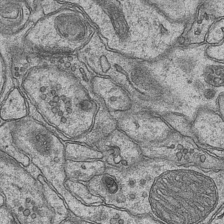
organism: Mouse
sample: CA1 Hippocampus